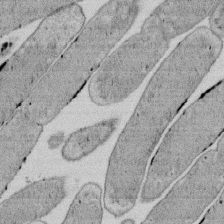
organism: E. coli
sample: Bacterial nucleoid